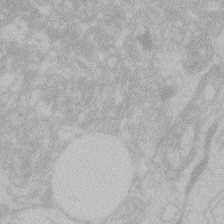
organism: Zebrafish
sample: Macrophage infected with Toxoplasma gondii